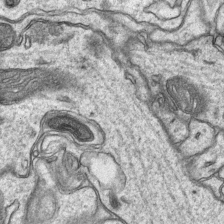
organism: Mouse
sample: CA1 Hippocampus